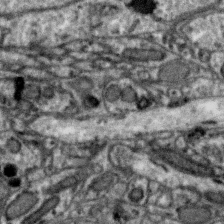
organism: Zebra finch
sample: Brain